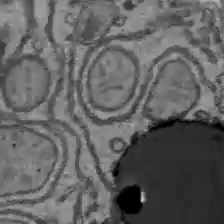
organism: C57BL Mouse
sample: Liver